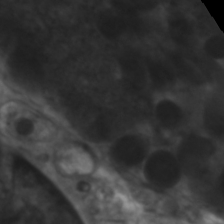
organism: C. elegans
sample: Pharynx